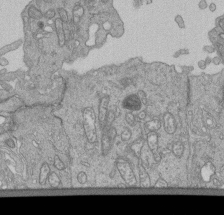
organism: Human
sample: Retinal organoid Rod and Cone cells